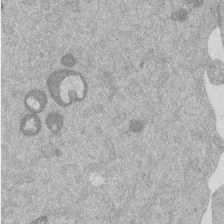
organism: Mouse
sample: Dividing mouse embryo 1 cell stage